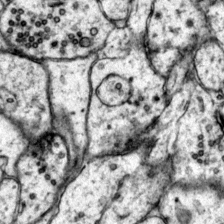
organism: Mouse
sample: Primary visual cortex